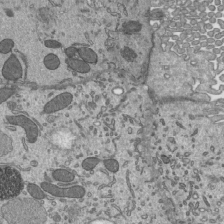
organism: Mouse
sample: Mouse epididymis efferent ductule cilia